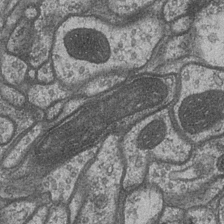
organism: Drosophila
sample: Optic medulla